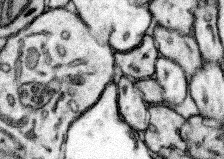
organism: Mouse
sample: Somatosensory cortex neuropil